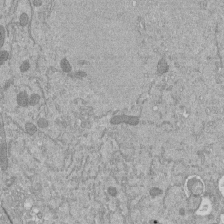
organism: Mouse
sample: ED-1 cell nuclei; centrioles